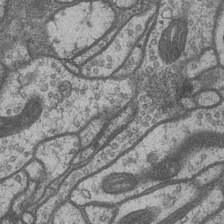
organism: Drosophila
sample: Optic medulla